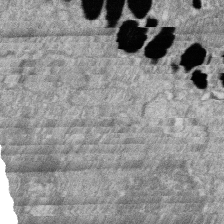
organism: Zebrafish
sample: Cilia; retinal pigment epithelium